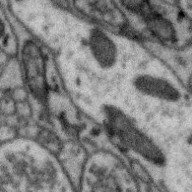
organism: Zebra finch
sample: Brain